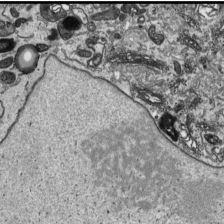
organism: Human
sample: Mitochondria in HCT116 cells